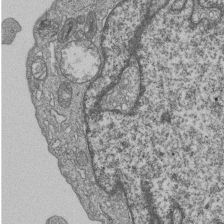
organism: Human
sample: MDA-MB-231 cells